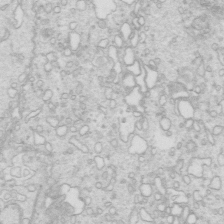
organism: Mouse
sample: Multiciliated cells